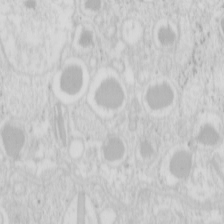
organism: Mouse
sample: Pancreas